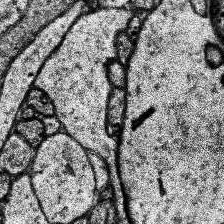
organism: Human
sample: Temporal Lobe